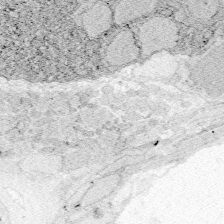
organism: Zebrafish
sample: Whole-Brain